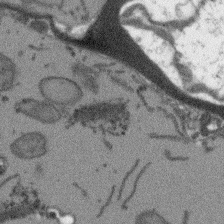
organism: Arabidopsis thaliana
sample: Root tip